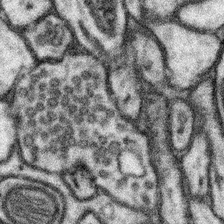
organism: Mouse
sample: Somatosensory cortex neuropil